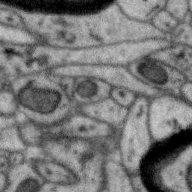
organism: Zebra finch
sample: Brain